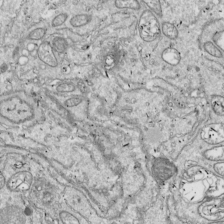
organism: Drosophila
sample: Cell division; meiosis; drosophila spermatocytes